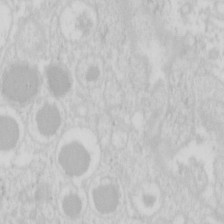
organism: Mouse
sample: Pancreas